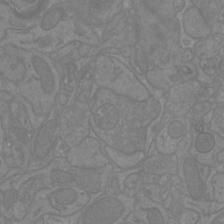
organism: Mouse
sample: Cortical neurons